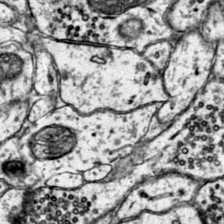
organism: Mouse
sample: Primary visual cortex